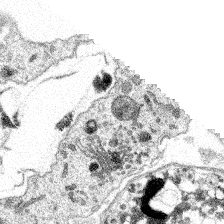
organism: Spongilla lacustris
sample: Multiple